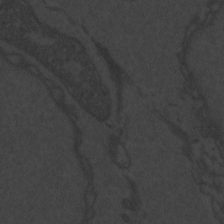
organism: Zebrafish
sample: Macrophage infected with Toxoplasma gondii